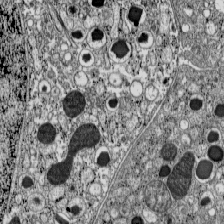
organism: C57BL Mouse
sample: Pancreatic islet